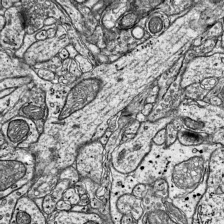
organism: Mouse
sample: Visual Cortex